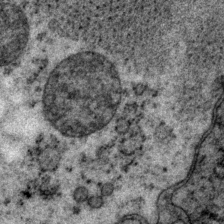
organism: P. pacificus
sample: Pharynx